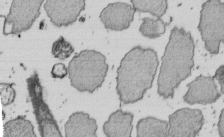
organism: E. coli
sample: Bacterial nucleoid